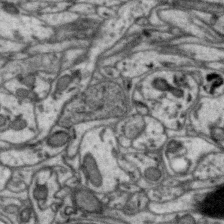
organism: Zebra finch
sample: Brain